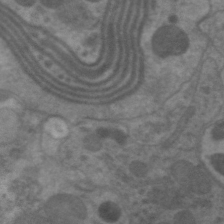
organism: C. elegans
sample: Pharynx